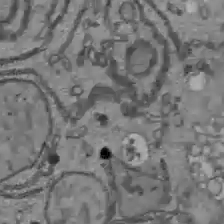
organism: C57BL Mouse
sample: Liver